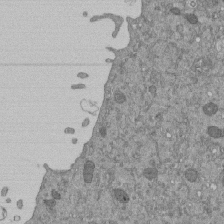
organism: Mouse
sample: ED-1 cell nuclei; centrioles